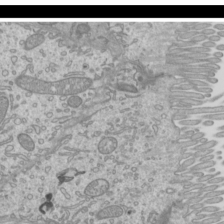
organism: Mouse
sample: Cilia; mouse epididymis